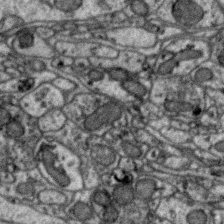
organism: Zebra finch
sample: Brain